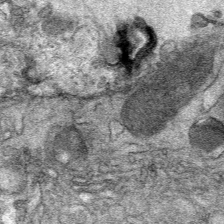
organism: Mouse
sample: Mouse Salivary gland